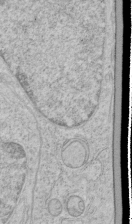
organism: Human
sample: Mitochondria in HCT116 cells